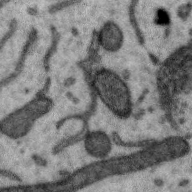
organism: Zebra finch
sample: Brain